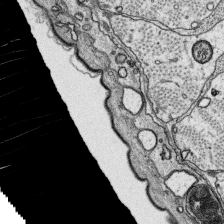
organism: Platynereis dumerilii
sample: Parapodia